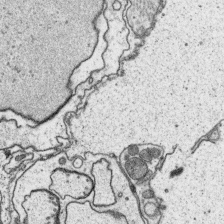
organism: Platynereis dumerilii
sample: Parapodia